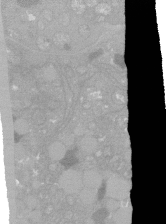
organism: C. elegans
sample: C. elegans oocyte; sperm cells